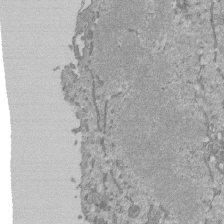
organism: Mouse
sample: ED-1 cell nuclei; centrioles